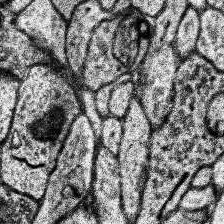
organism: Human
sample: Temporal Lobe